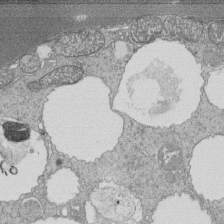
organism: Tetrahymena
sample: Cilia in tetrahymena